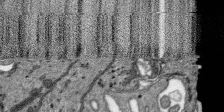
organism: Human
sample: Lung epithelial cells, uninfected (mock) control